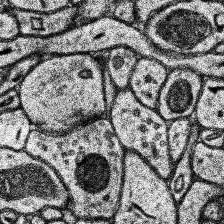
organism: Human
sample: Temporal Lobe